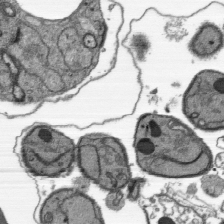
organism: Plasmodium falciparum